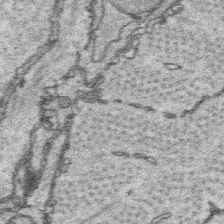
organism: Platynereis dumerilii